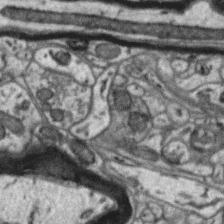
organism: Zebra finch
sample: Brain